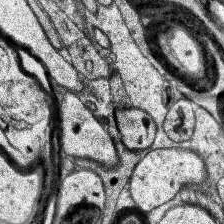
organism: Human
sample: Temporal Lobe